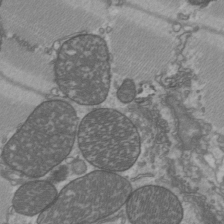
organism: C57BL Mouse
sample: Heart